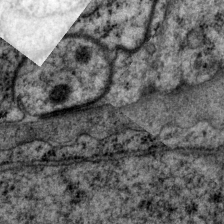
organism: P. pacificus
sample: Pharynx